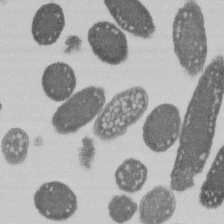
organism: E. coli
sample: Bacterial nucleoid